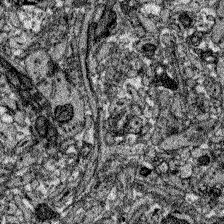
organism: Zebrafish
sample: Larval olfactory bulb